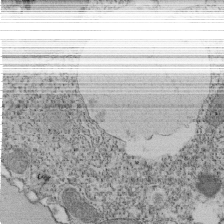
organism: Tetrahymena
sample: Cilia in tetrahymena